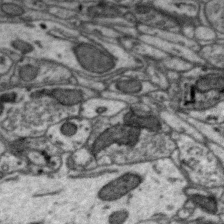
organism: Zebra finch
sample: Brain